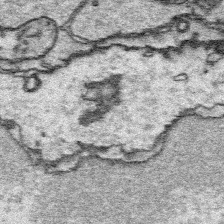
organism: Platynereis dumerilii